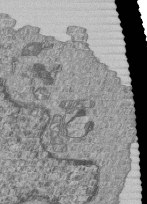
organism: Human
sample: MDA-MB-231 cells